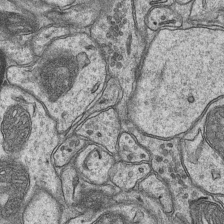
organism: Mouse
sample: CA1 Hippocampus